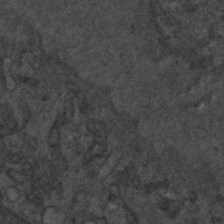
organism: C. elegans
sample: C. elegans embryo